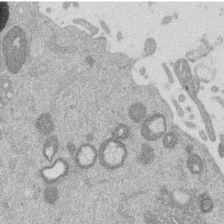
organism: Mouse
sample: Dividing mouse embryo 1 cell stage